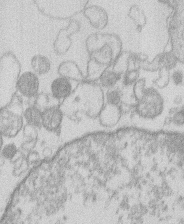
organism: Human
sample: Macrophage cells